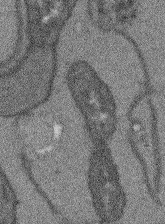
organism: Arabidopsis thaliana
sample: Root tip